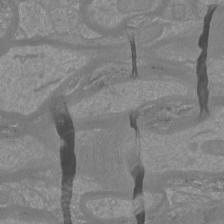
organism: Mouse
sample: Cortical neurons